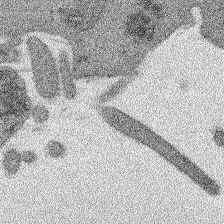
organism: Human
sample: HeLa cells